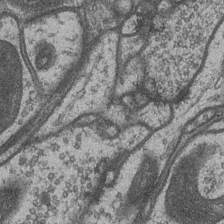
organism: Drosophila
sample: Optic medulla